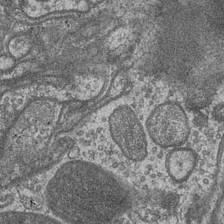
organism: Drosophila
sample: Optic medulla